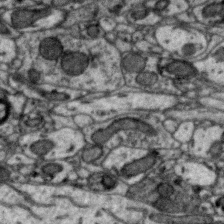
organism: Zebra finch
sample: Brain